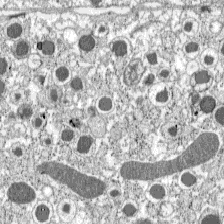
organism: C57BL Mouse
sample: Pancreatic islet